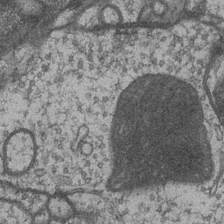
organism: Drosophila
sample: Optic medulla